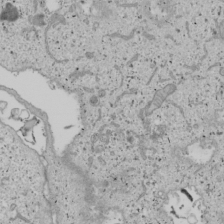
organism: Human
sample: Mitochondria in U2OS cells